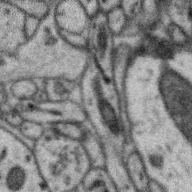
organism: Zebra finch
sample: Brain